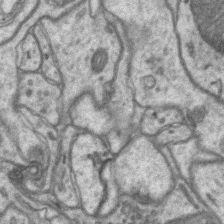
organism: Mouse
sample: CA1 Hippocampus